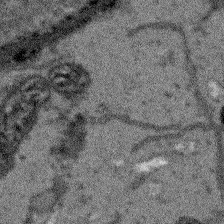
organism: Arabidopsis thaliana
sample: Root tip